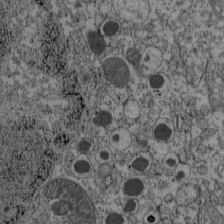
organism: C57BL Mouse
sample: Pancreatic islet